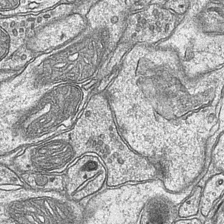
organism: Mouse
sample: CA1 Hippocampus